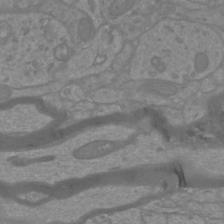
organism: Mouse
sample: Cortical neurons